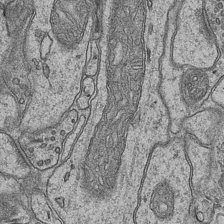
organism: Mouse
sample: CA1 Hippocampus